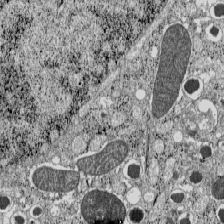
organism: C57BL Mouse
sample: Pancreatic islet